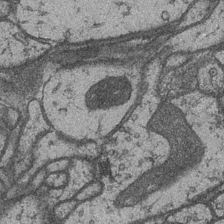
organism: Drosophila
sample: Optic medulla